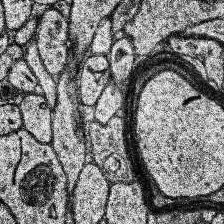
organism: Human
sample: Temporal Lobe